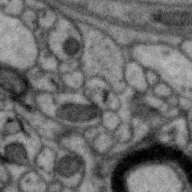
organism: Zebra finch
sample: Brain